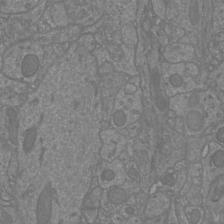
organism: Mouse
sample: Cortical neurons